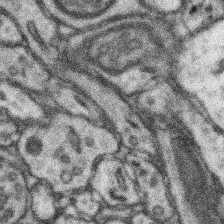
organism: Mouse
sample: Somatosensory cortex neuropil